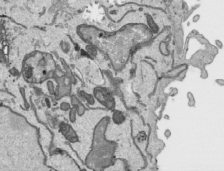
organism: Human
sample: Mitochondria in HCT116 cells